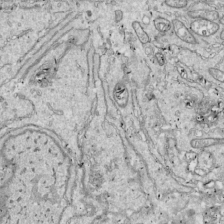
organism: Drosophila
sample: Cell division; meiosis; drosophila spermatocytes